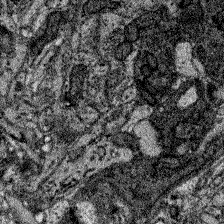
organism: Zebrafish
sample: Larval olfactory bulb